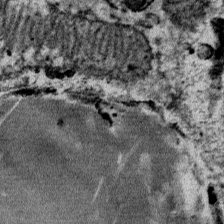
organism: Mouse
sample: Mouse Salivary gland